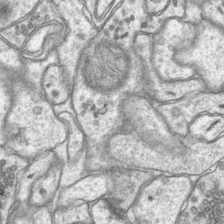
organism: Mouse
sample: CA1 Hippocampus